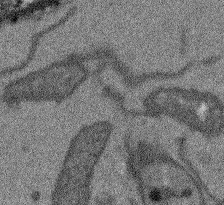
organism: Arabidopsis thaliana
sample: Root tip